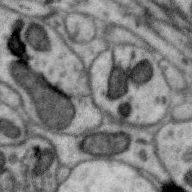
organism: Zebra finch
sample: Brain